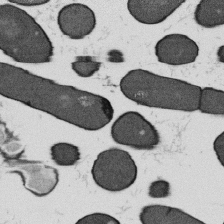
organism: B. subtilis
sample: Bacterial spore